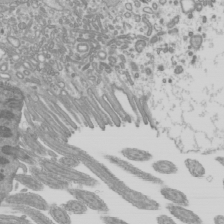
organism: Mouse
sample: Cilia; mouse epididymis